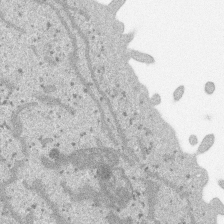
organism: Human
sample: Lung epithelial cells infected with SARS-CoV-2